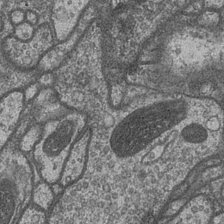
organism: Drosophila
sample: Optic medulla